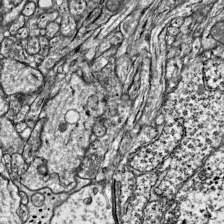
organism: Mouse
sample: Visual Cortex